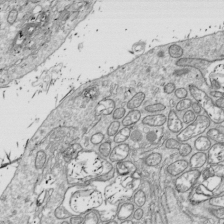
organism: Drosophila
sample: Cell division; meiosis; drosophila spermatocytes